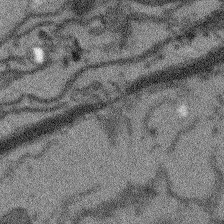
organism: Arabidopsis thaliana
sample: Root tip